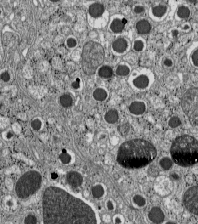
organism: C57BL Mouse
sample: Pancreatic islet